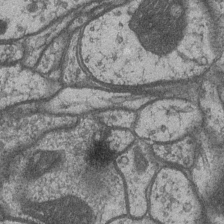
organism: Drosophila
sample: Optic medulla